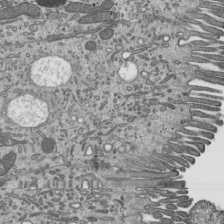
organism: Mouse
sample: Mouse epididymis efferent ductule cilia